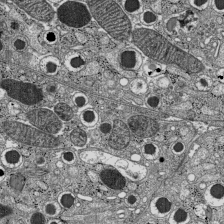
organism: C57BL Mouse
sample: Pancreatic islet